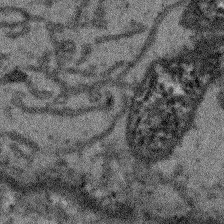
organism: Arabidopsis thaliana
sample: Root tip